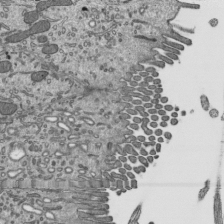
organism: Mouse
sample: Mouse epididymis efferent ductule cilia